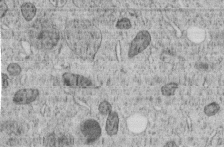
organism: C. elegans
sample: C. elegans embryo early stage